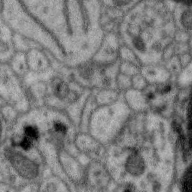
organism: Zebra finch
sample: Brain